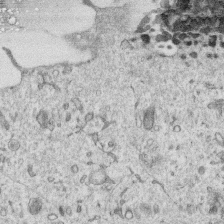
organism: Human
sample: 1205lu cells